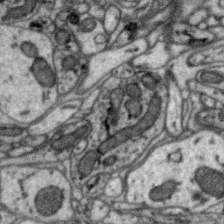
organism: Zebra finch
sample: Brain